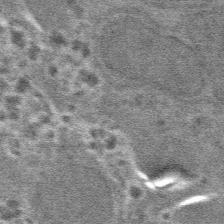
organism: Mouse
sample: Mouse hepatocytes